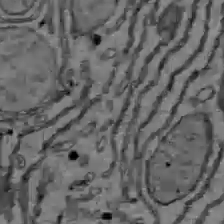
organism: C57BL Mouse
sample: Liver